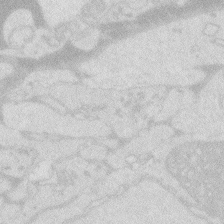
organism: Zebrafish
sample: Macrophage